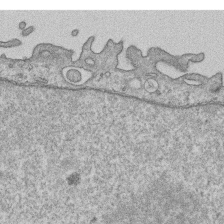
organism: Human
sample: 1205lu cells